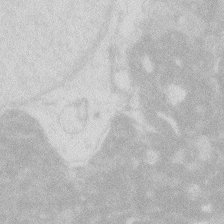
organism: Zebrafish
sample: Macrophage